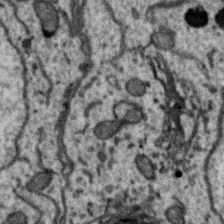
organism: Zebra finch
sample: Brain